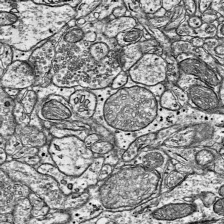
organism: Mouse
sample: Visual Cortex